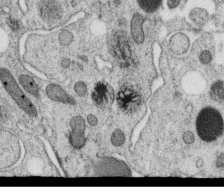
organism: C. elegans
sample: C. elegans oocyte; sperm cells